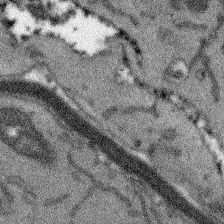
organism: Arabidopsis thaliana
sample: Root tip